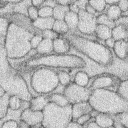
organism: Rabbit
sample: Retina